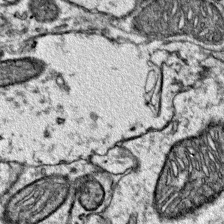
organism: Mouse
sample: Primary visual cortex